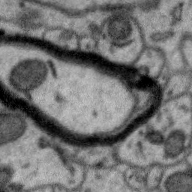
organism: Zebra finch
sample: Brain